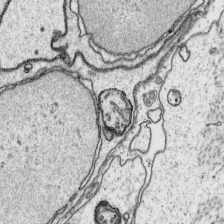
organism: Platynereis dumerilii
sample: Parapodia